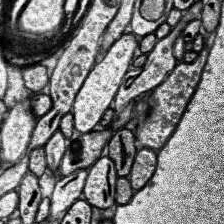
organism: Human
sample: Temporal Lobe